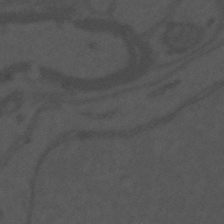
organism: Mouse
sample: Suprachiasmatic nucleus